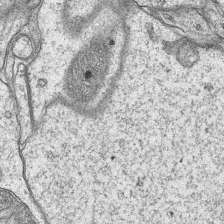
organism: Mouse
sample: CA1 Hippocampus